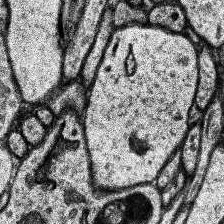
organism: Human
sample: Temporal Lobe